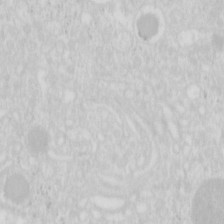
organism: Mouse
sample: Pancreas